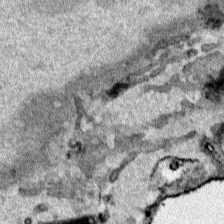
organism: Human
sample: Mitochondria in HCT116 cells